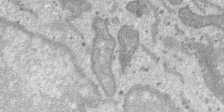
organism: Human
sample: Lung epithelial cells infected with SARS-CoV-2